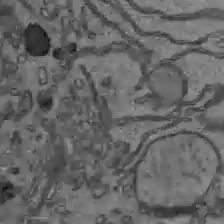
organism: C57BL Mouse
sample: Liver